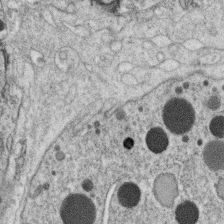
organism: C. elegans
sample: C. elegans oocyte; sperm cells